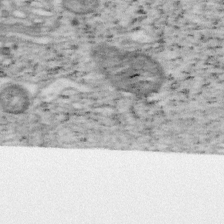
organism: Mouse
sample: OT-I killer T cells with ID8 ovarian cancer cells